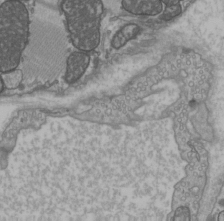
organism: C57BL Mouse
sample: Heart